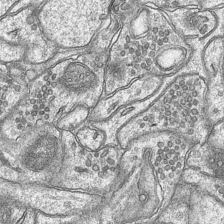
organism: Mouse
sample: CA1 Hippocampus